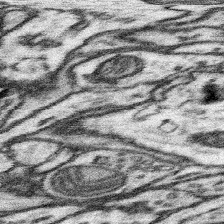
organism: Mouse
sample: Somatosensory cortex neuropil